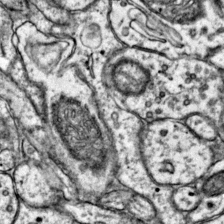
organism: Mouse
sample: Primary visual cortex